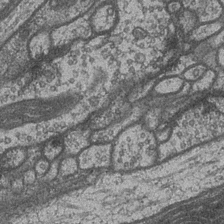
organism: Drosophila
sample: Optic medulla